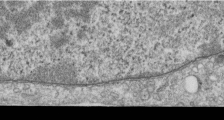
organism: Human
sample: Centriole in RPE cells